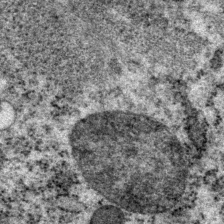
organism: P. pacificus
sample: Pharynx